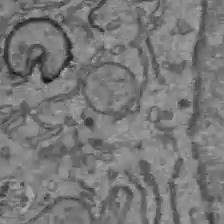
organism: C57BL Mouse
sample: Liver